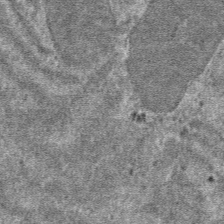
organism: Mouse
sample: Mouse hepatocytes